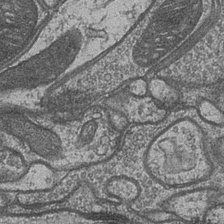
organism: Drosophila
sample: Optic medulla